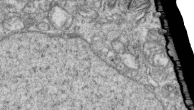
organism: Human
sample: HeLa cell HIV synapse